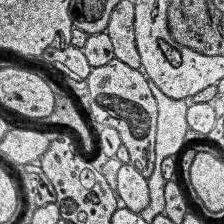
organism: Human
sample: Temporal Lobe